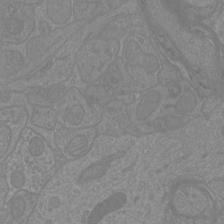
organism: Mouse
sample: Cortical neurons